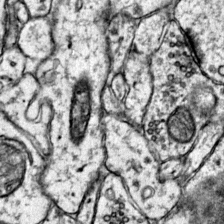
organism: Mouse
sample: Primary visual cortex